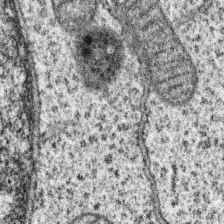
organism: Human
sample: HeLa cells